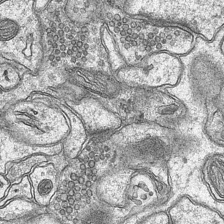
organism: Mouse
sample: CA1 Hippocampus